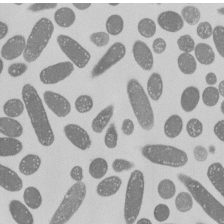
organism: E. coli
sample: Bacterial nucleoid